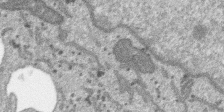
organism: Human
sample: Lung epithelial cells infected with SARS-CoV-2